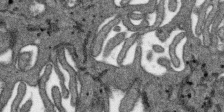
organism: Human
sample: Lung epithelial cells, uninfected (mock) control